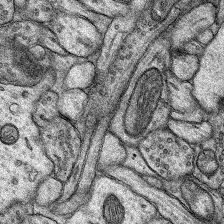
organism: Rat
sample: Hippocampus